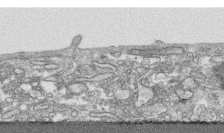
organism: Human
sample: CRL-1474